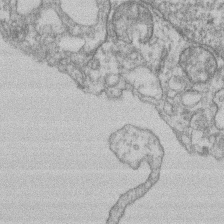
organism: Mouse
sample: T cell stromal cell synapse